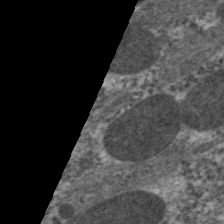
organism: C. elegans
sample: Pharynx